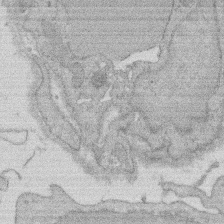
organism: Rat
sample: Salivary granule